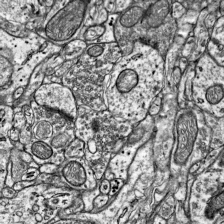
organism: Mouse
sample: Visual Cortex